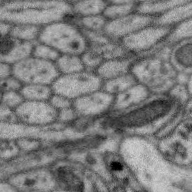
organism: Zebra finch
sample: Brain